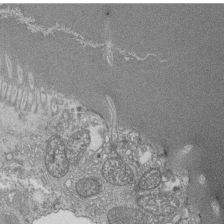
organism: Tetrahymena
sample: Cilia in tetrahymena